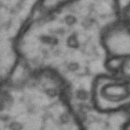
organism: Drosophila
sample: Brain